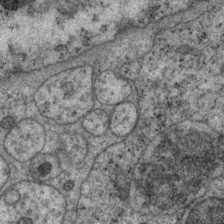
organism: P. pacificus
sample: Pharynx